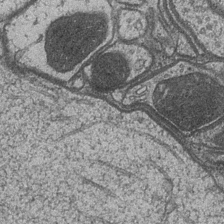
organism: Drosophila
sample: Optic medulla